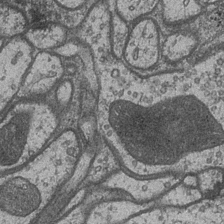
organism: Drosophila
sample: Optic medulla